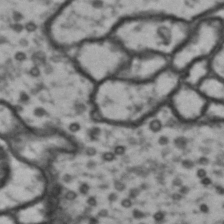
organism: Drosophila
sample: Brain